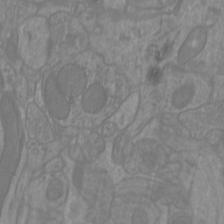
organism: Mouse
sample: Cortical neurons